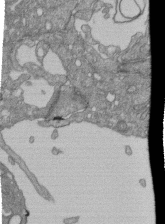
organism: Human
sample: Retinal organoid Rod and Cone cells